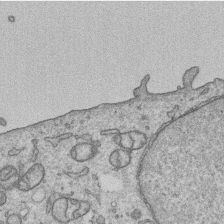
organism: Human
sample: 1205lu cells